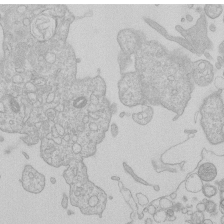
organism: Human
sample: Macrophage cells